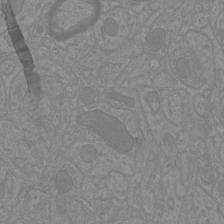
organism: Mouse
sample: Cortical neurons